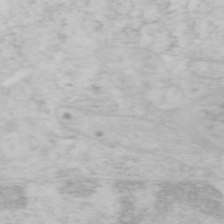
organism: Mouse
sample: OT-I killer T cells with ID8 ovarian cancer cells